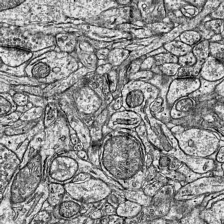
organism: Mouse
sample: Visual Cortex